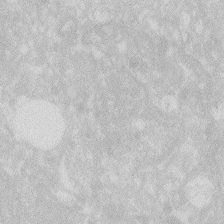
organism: Zebrafish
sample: Macrophage